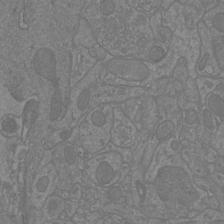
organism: Mouse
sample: Cortical neurons